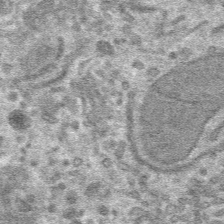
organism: Mouse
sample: Mouse hepatocytes